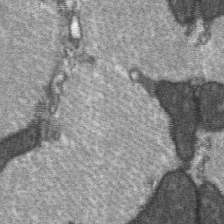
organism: C57BL Mouse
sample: Soleus